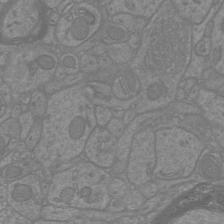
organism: Mouse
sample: Cortical neurons